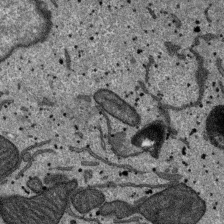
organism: Human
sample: Lung epithelial cells, uninfected (mock) control